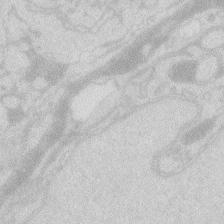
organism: Zebrafish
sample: Macrophage